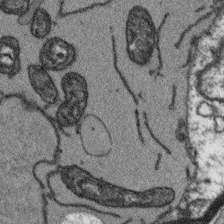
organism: Arabidopsis thaliana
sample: Root tip